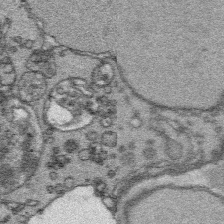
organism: Platynereis dumerilii